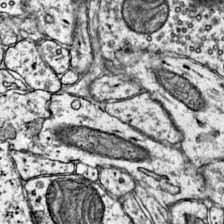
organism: Mouse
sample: Primary visual cortex